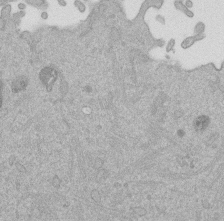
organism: Mouse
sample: Dividing mouse embryo 1 cell stage